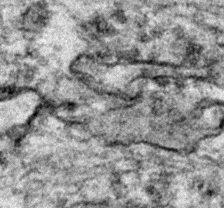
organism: Zebrafish